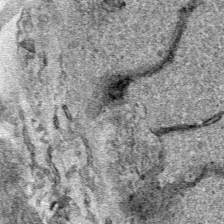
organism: Human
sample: Mitochondria in HCT116 cells